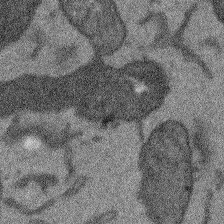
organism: Arabidopsis thaliana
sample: Root tip